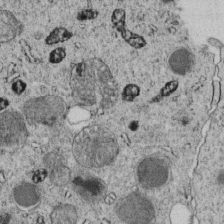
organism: C. elegans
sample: C. elegans embryo early stage